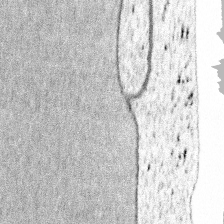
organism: Human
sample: HeLa cells